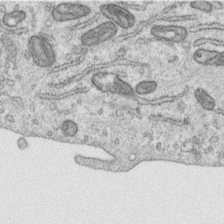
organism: Human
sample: Centriole in RPE cells